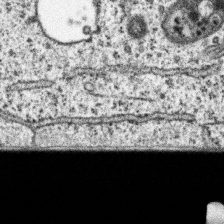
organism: Human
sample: HeLa cells